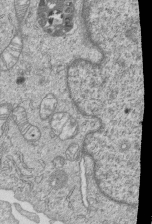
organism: Human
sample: MDA-MB-231 cells